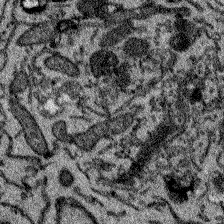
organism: Zebrafish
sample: Larval olfactory bulb